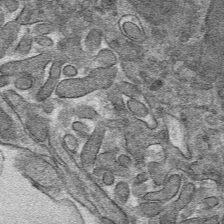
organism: Mouse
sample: Mouse hepatocytes